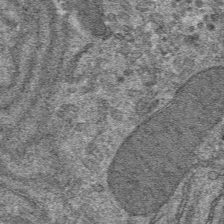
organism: Mouse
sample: Mouse hepatocytes